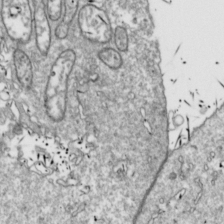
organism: Drosophila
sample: Cell division; meiosis; drosophila spermatocytes